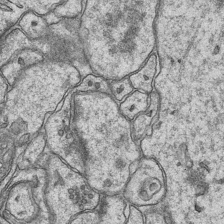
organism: Mouse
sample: CA1 Hippocampus